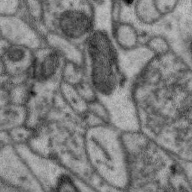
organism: Zebra finch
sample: Brain